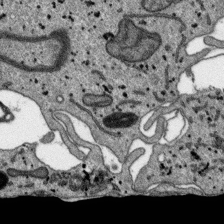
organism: Human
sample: Lung epithelial cells, uninfected (mock) control